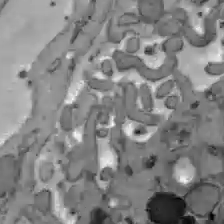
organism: C57BL Mouse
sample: Liver